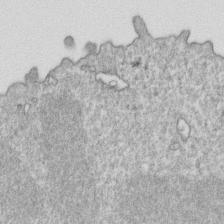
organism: Mouse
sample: Activated OT-1 CD8+ T cells